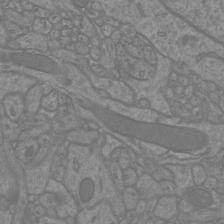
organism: Mouse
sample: Cortical neurons